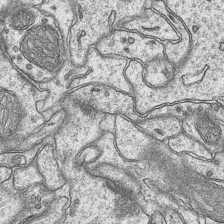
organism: Mouse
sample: CA1 Hippocampus